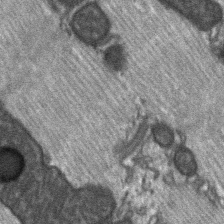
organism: C57BL Mouse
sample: Soleus